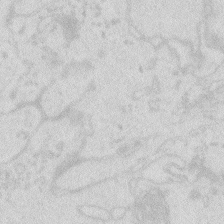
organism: Zebrafish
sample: Macrophage